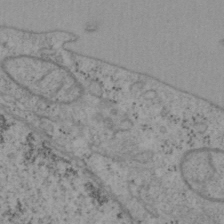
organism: Human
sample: HeLa cells